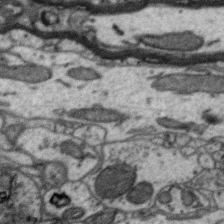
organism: Zebra finch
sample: Brain